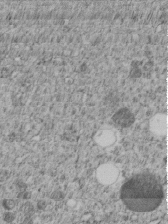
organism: C. elegans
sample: C. elegans embryo early stage